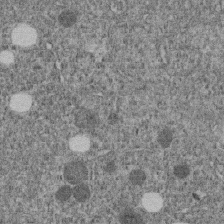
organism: C. elegans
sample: C. elegans embryo early stage